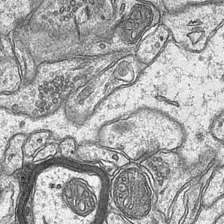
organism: Mouse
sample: CA1 Hippocampus